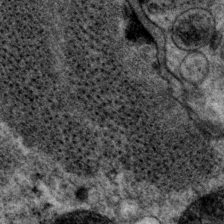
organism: P. pacificus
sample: Pharynx